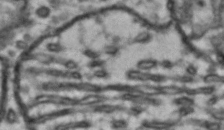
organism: Drosophila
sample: Brain